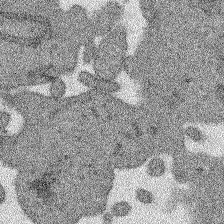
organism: Human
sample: HeLa cells